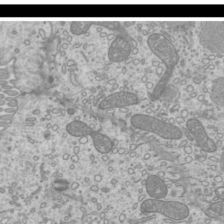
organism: Mouse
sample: Cilia; mouse epididymis